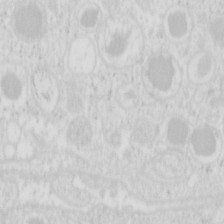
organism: Mouse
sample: Pancreas